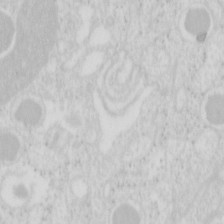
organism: Mouse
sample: Pancreas